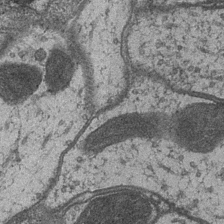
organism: Drosophila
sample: Optic medulla